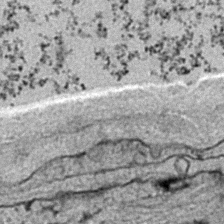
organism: C. elegans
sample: C. elegans embryo